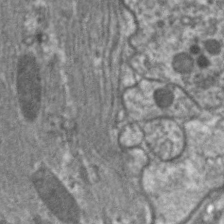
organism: C. elegans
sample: Pharynx